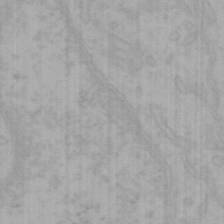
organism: Mouse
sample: Choroid plexus